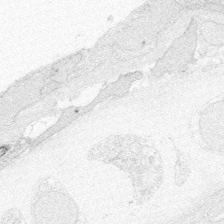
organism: Zebrafish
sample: Whole-Brain